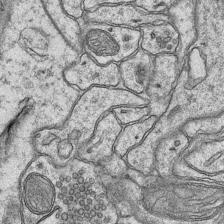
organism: Mouse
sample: CA1 Hippocampus